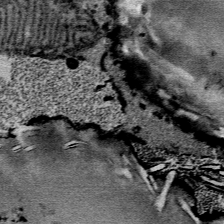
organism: Mouse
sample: Mouse Salivary gland